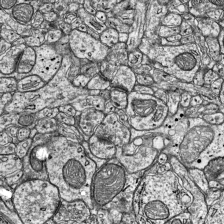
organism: Mouse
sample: Visual Cortex